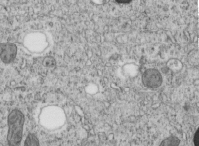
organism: C. elegans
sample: C. elegans embryo early stage